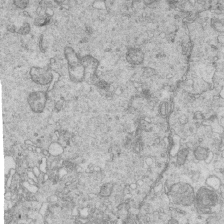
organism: Mouse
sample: Multiciliated cells